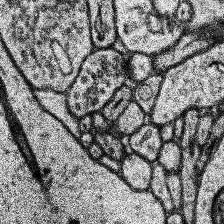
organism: Human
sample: Temporal Lobe